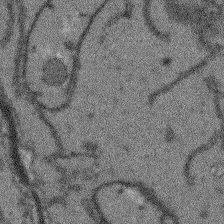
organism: Arabidopsis thaliana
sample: Root tip